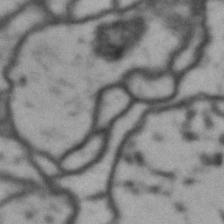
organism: Drosophila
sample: Brain